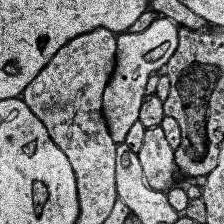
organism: Human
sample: Temporal Lobe